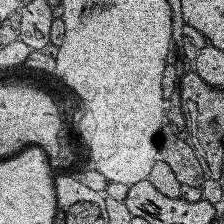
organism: Human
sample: Temporal Lobe